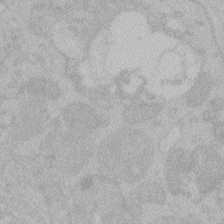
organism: Zebrafish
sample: Macrophage infected with Toxoplasma gondii